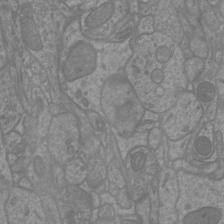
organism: Mouse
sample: Cortical neurons